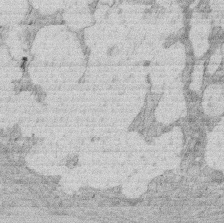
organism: Rat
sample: Salivary granule